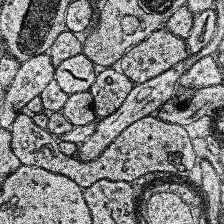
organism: Human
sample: Temporal Lobe